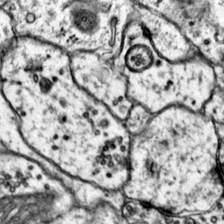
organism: Mouse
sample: Primary visual cortex